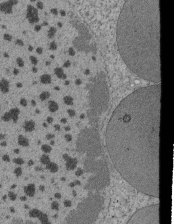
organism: Tetrahymena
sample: Cilia in tetrahymena